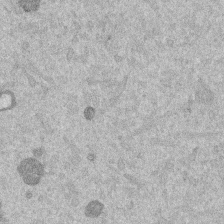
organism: Mouse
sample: Dividing mouse embryo 1 cell stage